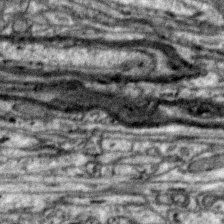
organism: Zebra finch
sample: Brain